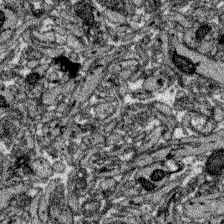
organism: Zebrafish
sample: Larval olfactory bulb